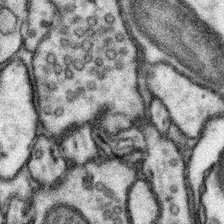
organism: Mouse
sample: Somatosensory cortex neuropil